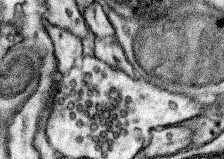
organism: Mouse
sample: Somatosensory cortex neuropil